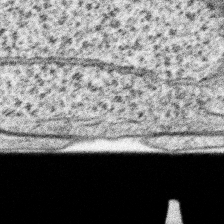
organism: Human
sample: HeLa cells